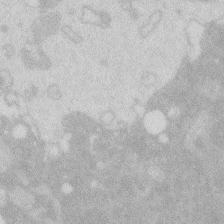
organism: Zebrafish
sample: Macrophage